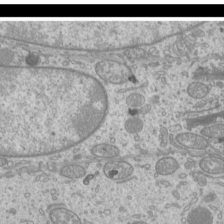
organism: Mouse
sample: Cilia; mouse epididymis